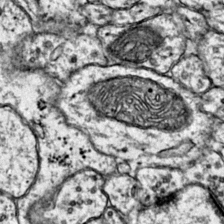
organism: Mouse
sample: Primary visual cortex